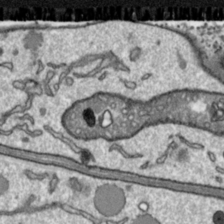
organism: Toxoplasma gondii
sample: Parasites in a vacuole inside a host cell